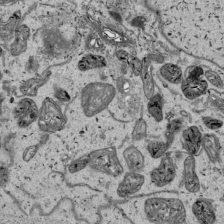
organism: Human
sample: Mitochondria in HCT116 cells